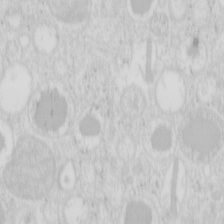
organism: Mouse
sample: Pancreas